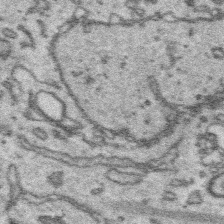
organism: Platynereis dumerilii